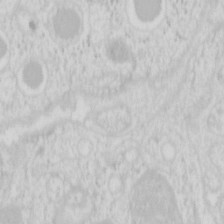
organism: Mouse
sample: Pancreas